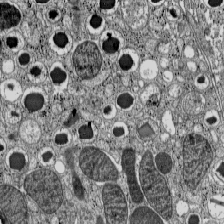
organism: C57BL Mouse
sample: Pancreatic islet